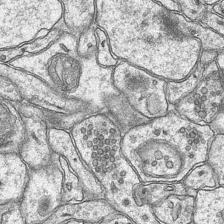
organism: Mouse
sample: CA1 Hippocampus